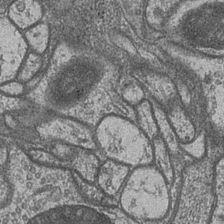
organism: Drosophila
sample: Optic medulla